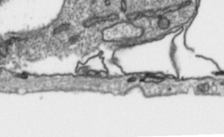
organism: Toxoplasma gondii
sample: Parasites in a vacuole inside a host cell